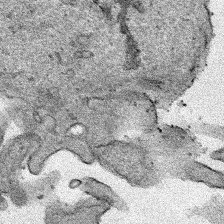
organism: Human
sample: Mitochondria in HCT116 cells